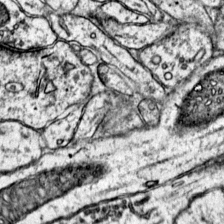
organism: Mouse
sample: Primary visual cortex